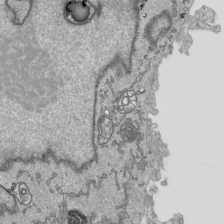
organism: Human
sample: Mitochondria in HCT116 cells